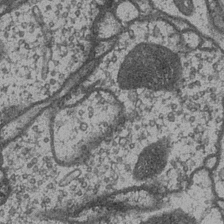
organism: Drosophila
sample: Optic medulla